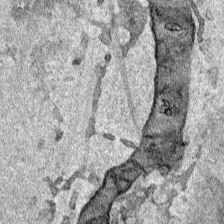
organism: Human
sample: Mitochondria in HCT116 cells